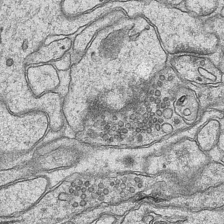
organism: Mouse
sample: CA1 Hippocampus